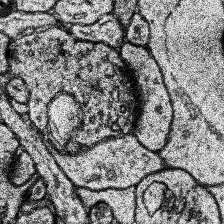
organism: Human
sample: Temporal Lobe